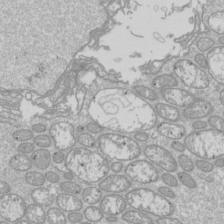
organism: Drosophila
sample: Cell division; meiosis; drosophila spermatocytes